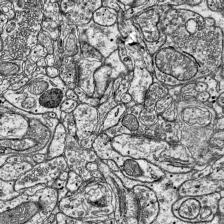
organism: Mouse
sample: Visual Cortex